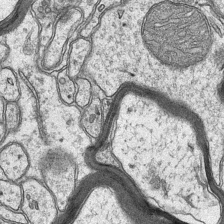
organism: Mouse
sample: CA1 Hippocampus